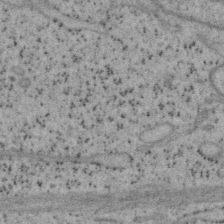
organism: Human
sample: HeLa cells